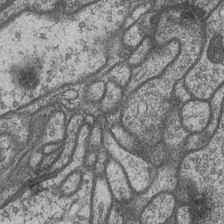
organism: Drosophila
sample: Optic medulla